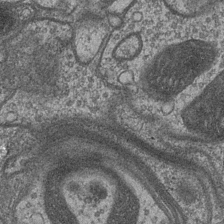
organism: Drosophila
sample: Optic medulla